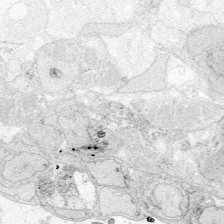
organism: Zebrafish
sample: Whole-Brain